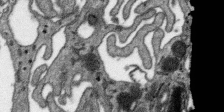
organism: Human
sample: Lung epithelial cells, uninfected (mock) control